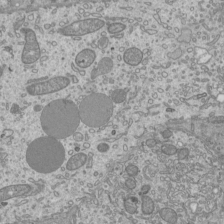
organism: Mouse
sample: Cilia; mouse epididymis